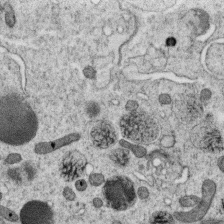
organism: C. elegans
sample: C. elegans oocyte; sperm cells